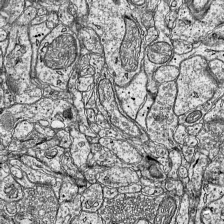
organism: Mouse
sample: Visual Cortex